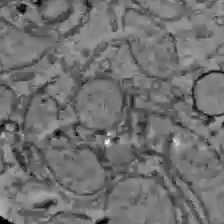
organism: C57BL Mouse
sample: Liver